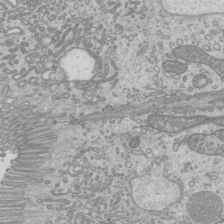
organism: Mouse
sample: Cilia; mouse epididymis